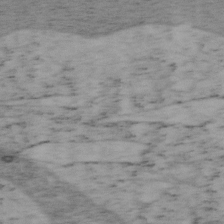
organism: Mouse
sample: OT-I killer T cells with ID8 ovarian cancer cells